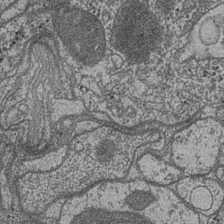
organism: Drosophila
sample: Optic medulla